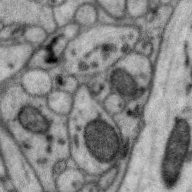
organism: Zebra finch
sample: Brain